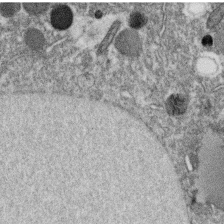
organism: C. elegans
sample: C. elegans oocyte; sperm cells